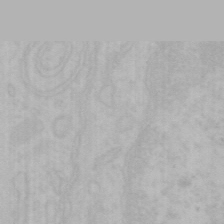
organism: Mouse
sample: Choroid plexus